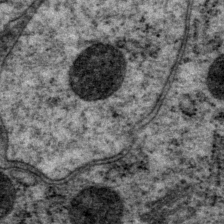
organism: P. pacificus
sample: Pharynx